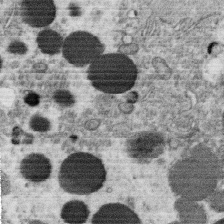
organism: C. elegans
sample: C. elegans oocyte; sperm cells